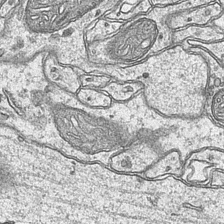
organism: Mouse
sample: CA1 Hippocampus